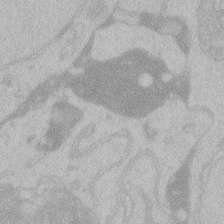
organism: Zebrafish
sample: Macrophage infected with Toxoplasma gondii